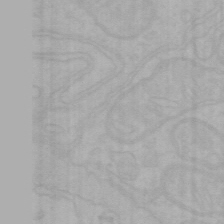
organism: Mouse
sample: Choroid plexus